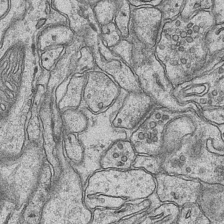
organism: Mouse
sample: CA1 Hippocampus